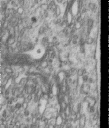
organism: Human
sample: Centriole in RPE cells